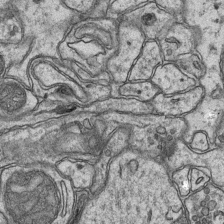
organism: Mouse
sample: CA1 Hippocampus